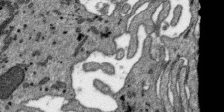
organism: Human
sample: Lung epithelial cells, uninfected (mock) control